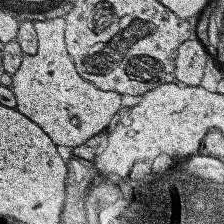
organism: Human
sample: Temporal Lobe